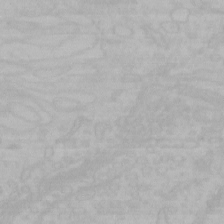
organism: Mouse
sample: Choroid plexus